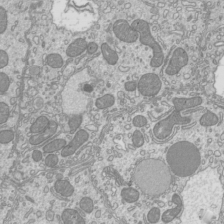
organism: Mouse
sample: Cilia; mouse epididymis